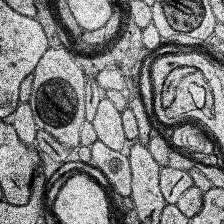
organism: Human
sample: Temporal Lobe